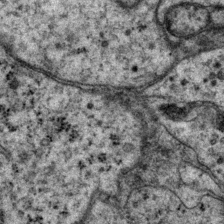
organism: P. pacificus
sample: Pharynx